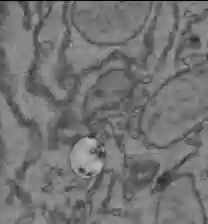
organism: C57BL Mouse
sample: Liver